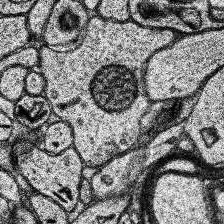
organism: Human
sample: Temporal Lobe